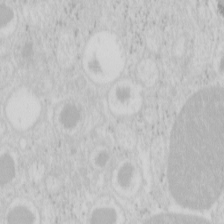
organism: Mouse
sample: Pancreas